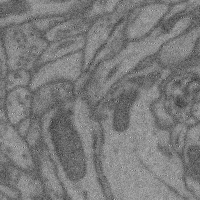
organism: Mouse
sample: Cerebral cortex